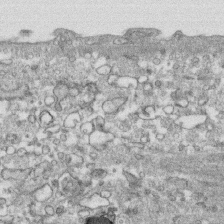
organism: Human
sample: CRL-1474